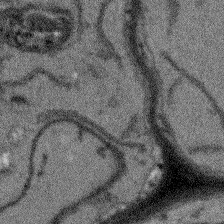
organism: Arabidopsis thaliana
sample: Root tip